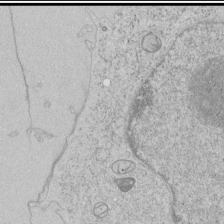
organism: Human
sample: Mitochondria in HCT116 cells